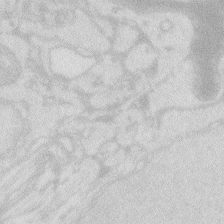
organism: Zebrafish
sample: Macrophage